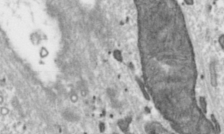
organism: Toxoplasma gondii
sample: Parasites in a vacuole inside a host cell